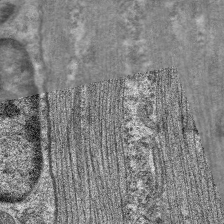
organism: C. elegans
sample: Pharynx